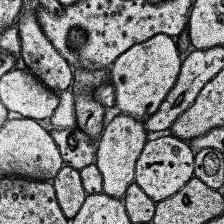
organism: Human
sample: Temporal Lobe